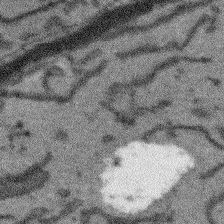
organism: Arabidopsis thaliana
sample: Root tip